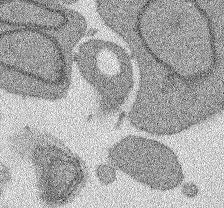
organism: Human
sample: HeLa cells